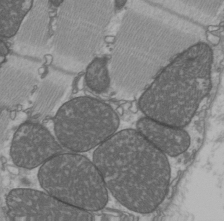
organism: C57BL Mouse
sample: Heart